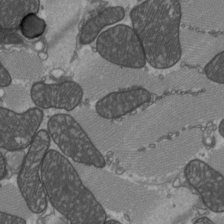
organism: C57BL Mouse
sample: Heart